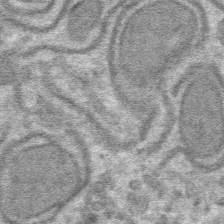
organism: Mouse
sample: Mouse hepatocytes